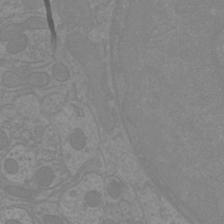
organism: Mouse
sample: Cortical neurons